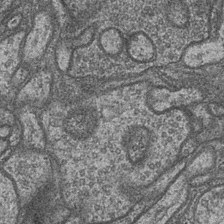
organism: Drosophila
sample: Optic medulla